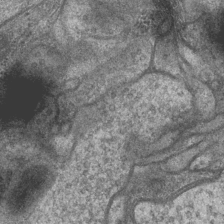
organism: Drosophila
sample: Optic medulla